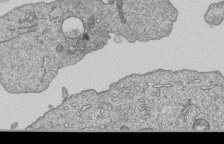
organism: Human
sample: MDA-MB-231 cells